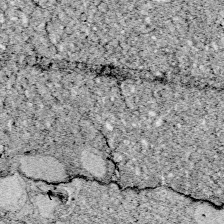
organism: Zebrafish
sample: Whole-Brain